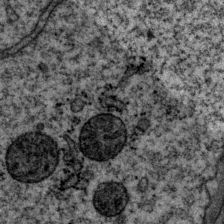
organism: P. pacificus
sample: Pharynx